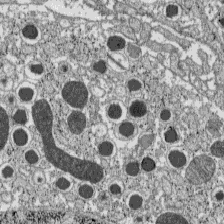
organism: C57BL Mouse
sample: Pancreatic islet